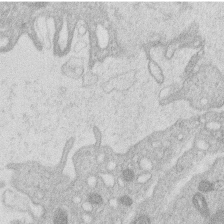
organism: Human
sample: Macrophage cells